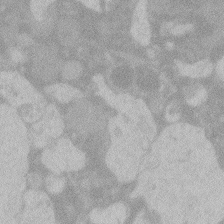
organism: Zebrafish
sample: Macrophage infected with Toxoplasma gondii